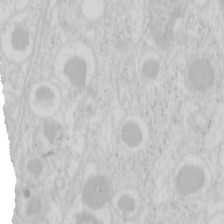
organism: Mouse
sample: Pancreas